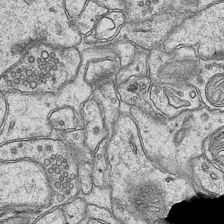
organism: Mouse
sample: CA1 Hippocampus